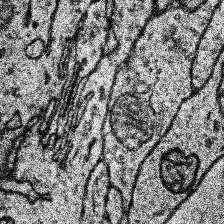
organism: Human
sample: Temporal Lobe